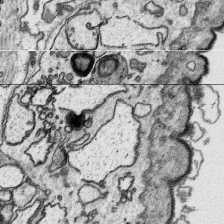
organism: Platynereis dumerilii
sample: Parapodia